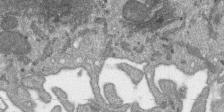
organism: Human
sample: Lung epithelial cells infected with SARS-CoV-2